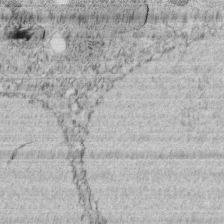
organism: C. elegans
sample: C. elegans embryo early stage